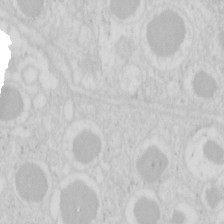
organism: Mouse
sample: Pancreas